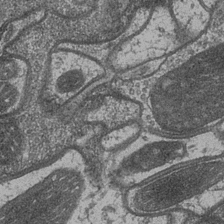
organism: Drosophila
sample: Optic medulla